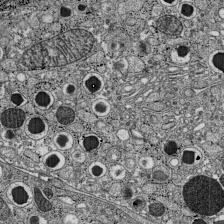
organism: C57BL Mouse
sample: Pancreatic islet